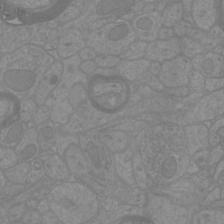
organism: Mouse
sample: Cortical neurons